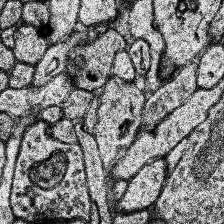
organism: Human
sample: Temporal Lobe